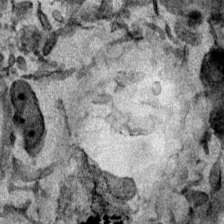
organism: Mouse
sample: Cancer cell death in ED-1 cells